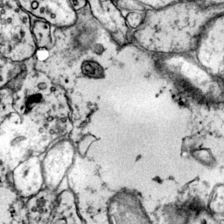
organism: Mouse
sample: Primary visual cortex